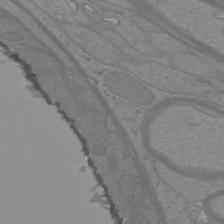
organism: Mouse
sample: Cortical neurons